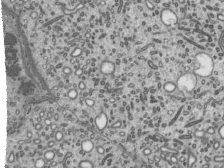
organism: Mouse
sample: Mouse epididymis efferent ductule cilia